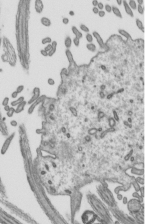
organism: Mouse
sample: Mouse epididymis efferent ductule cilia